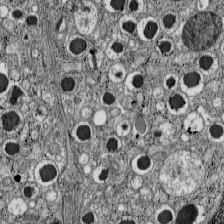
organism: C57BL Mouse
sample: Pancreatic islet